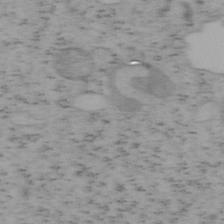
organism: Mouse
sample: OT-I killer T cells with ID8 ovarian cancer cells